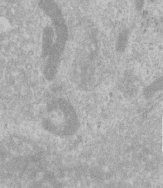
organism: Human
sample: Centriole in RPE cells